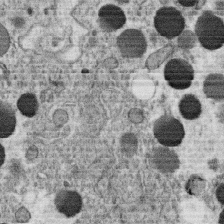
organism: C. elegans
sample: C. elegans oocyte; sperm cells